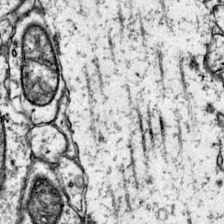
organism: Mouse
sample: Primary visual cortex